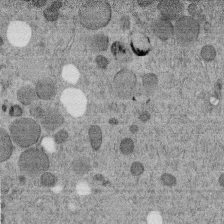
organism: C. elegans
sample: C. elegans embryo early stage